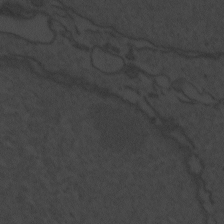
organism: Zebrafish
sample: Macrophage infected with Toxoplasma gondii